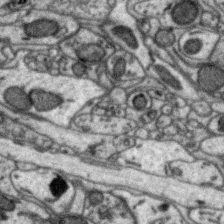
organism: Zebra finch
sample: Brain